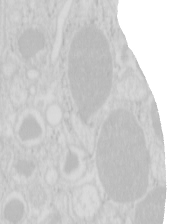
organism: Mouse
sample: Pancreas